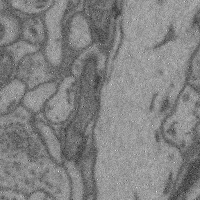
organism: Mouse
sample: Cerebral cortex